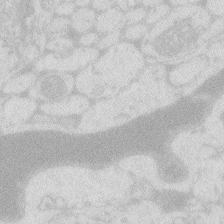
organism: Zebrafish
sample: Macrophage